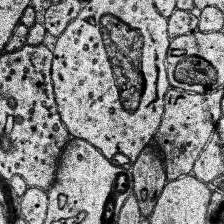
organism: Human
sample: Temporal Lobe